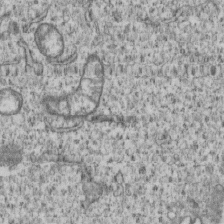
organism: Human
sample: MDA-MB-231 cells